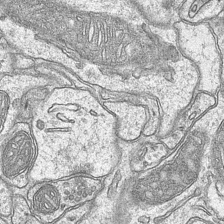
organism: Mouse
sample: CA1 Hippocampus